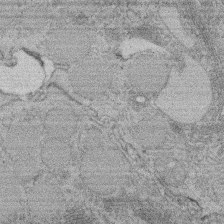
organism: Rat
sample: Salivary granule